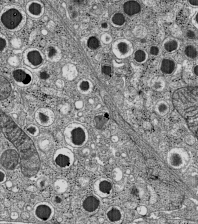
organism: C57BL Mouse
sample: Pancreatic islet